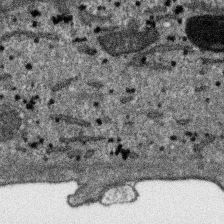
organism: Human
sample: Lung epithelial cells infected with SARS-CoV-2